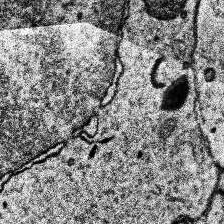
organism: Human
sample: Temporal Lobe